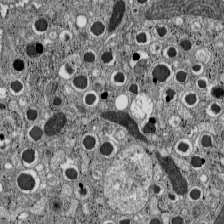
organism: C57BL Mouse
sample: Pancreatic islet